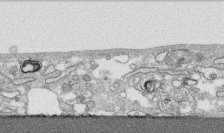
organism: Human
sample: CRL-1474